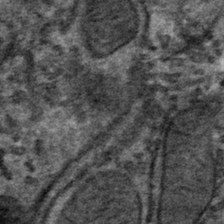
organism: Mouse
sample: Mouse hepatocytes